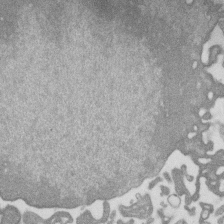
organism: Mouse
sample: Dividing mouse embryo 1 cell stage